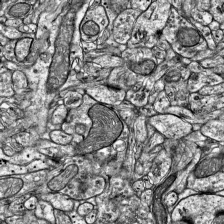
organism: Mouse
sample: Visual Cortex